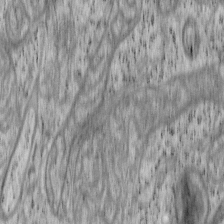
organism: Human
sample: HeLa cells